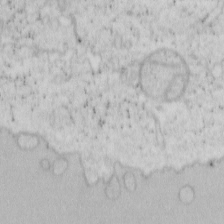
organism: Human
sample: HeLa cells